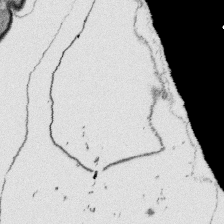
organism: Platynereis dumerilii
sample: Parapodia